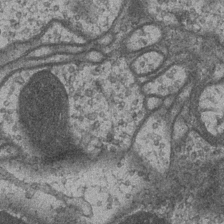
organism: Drosophila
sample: Optic medulla